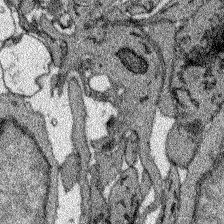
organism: Zebrafish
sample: Larval olfactory bulb